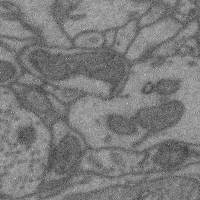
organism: Mouse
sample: Cerebral cortex